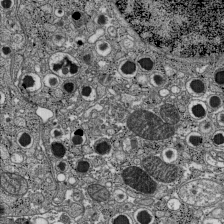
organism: C57BL Mouse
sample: Pancreatic islet